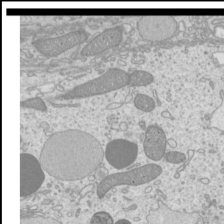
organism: Mouse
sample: Cilia; mouse epididymis